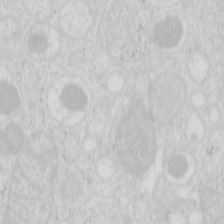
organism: Mouse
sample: Pancreas